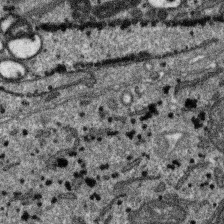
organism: Human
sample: Lung epithelial cells infected with SARS-CoV-2